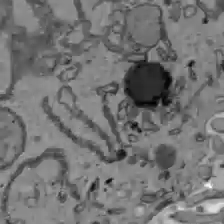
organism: C57BL Mouse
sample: Liver